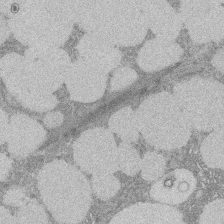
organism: Rat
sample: Salivary granule